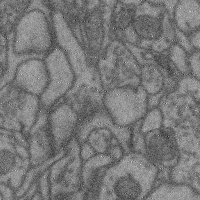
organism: Mouse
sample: Cerebral cortex